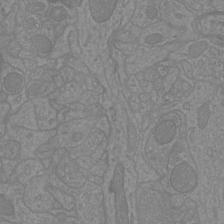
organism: Mouse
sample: Cortical neurons